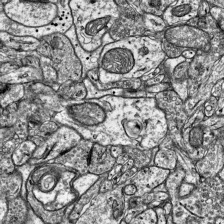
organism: Mouse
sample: Visual Cortex